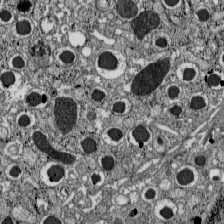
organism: C57BL Mouse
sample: Pancreatic islet